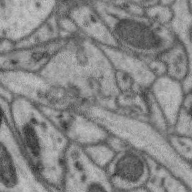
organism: Zebra finch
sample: Brain